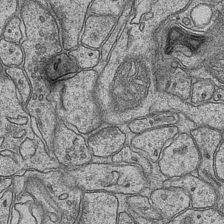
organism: Mouse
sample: CA1 Hippocampus